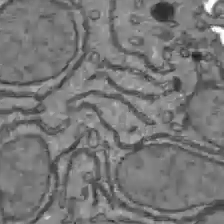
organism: C57BL Mouse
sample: Liver